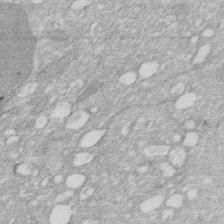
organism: Human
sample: HIV infected U937 cells